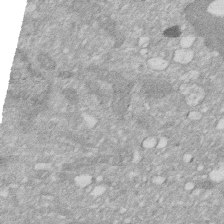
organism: Human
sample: HIV infected U937 cells